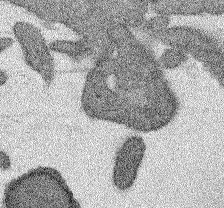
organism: Human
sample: HeLa cells